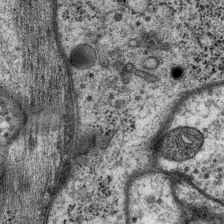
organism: P. pacificus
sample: Pharynx